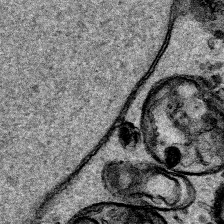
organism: Human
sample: Mitochondria in HCT116 cells